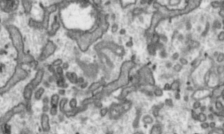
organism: Toxoplasma gondii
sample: Parasites in a vacuole inside a host cell